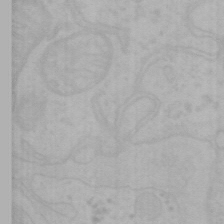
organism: Mouse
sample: Choroid plexus